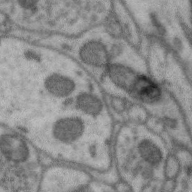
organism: Zebra finch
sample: Brain